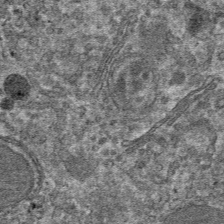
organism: Mouse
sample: Mouse hepatocytes